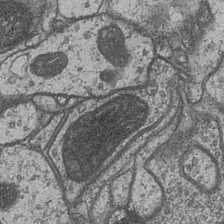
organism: Drosophila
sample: Optic medulla